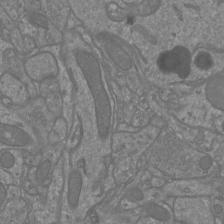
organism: Mouse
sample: Cortical neurons